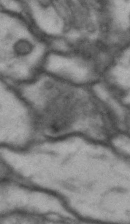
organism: Drosophila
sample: Brain